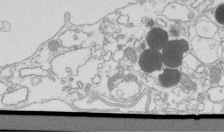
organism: Mouse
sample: Macrophages